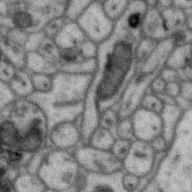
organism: Zebra finch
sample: Brain